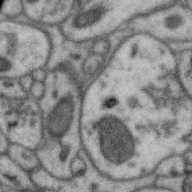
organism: Zebra finch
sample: Brain